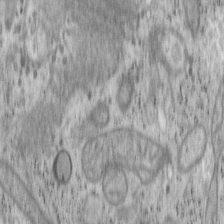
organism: Human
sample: HeLa cells